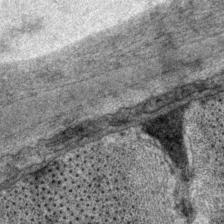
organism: P. pacificus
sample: Pharynx